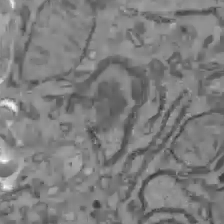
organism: C57BL Mouse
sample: Liver